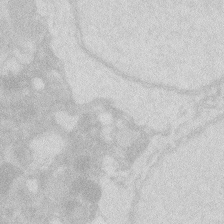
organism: Zebrafish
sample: Macrophage